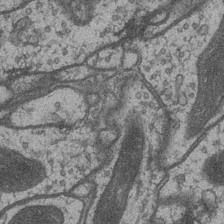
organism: Drosophila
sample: Optic medulla